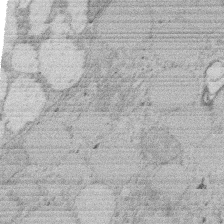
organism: Rat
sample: Salivary granule